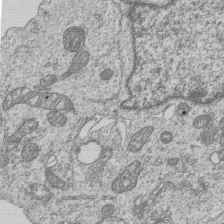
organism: Human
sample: MDA-MB-231 cells